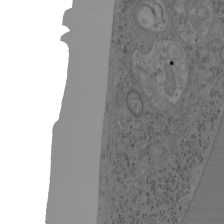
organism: Mouse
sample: OT-I killer T cells with ID8 ovarian cancer cells